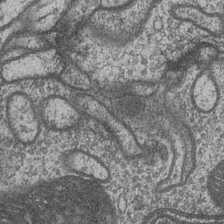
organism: Drosophila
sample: Optic medulla